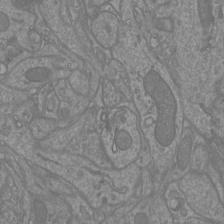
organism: Mouse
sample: Cortical neurons